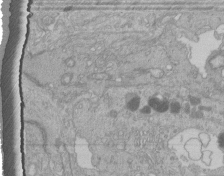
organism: Human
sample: Retinal organoid Rod and Cone cells